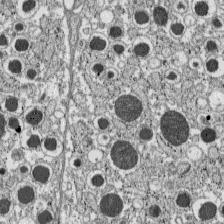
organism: C57BL Mouse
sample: Pancreatic islet